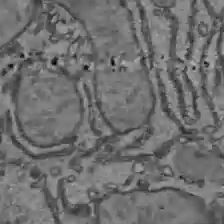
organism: C57BL Mouse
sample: Liver